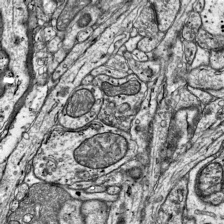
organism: Mouse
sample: Visual Cortex